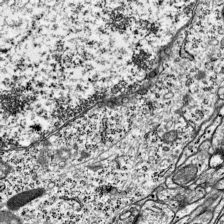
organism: Mouse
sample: Visual Cortex